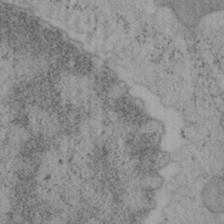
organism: Mouse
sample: OT-I killer T cells with ID8 ovarian cancer cells